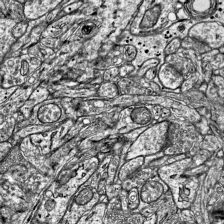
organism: Mouse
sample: Visual Cortex